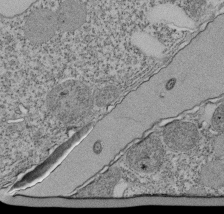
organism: Tetrahymena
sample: Cilia in tetrahymena